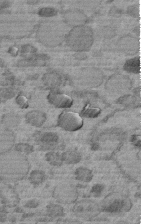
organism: C. elegans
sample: C. elegans embryo early stage